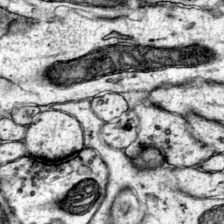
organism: Mouse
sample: Primary visual cortex